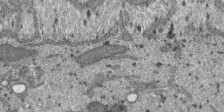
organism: Human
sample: Lung epithelial cells infected with SARS-CoV-2